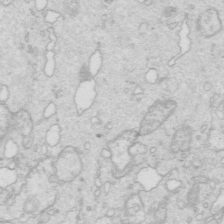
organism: Mouse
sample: Multiciliated cells